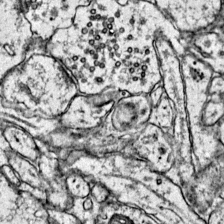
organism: Mouse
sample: Primary visual cortex